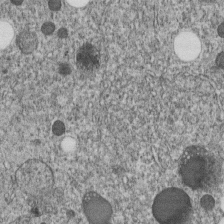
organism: C. elegans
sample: C. elegans embryo early stage